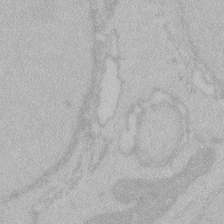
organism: Zebrafish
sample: Macrophage infected with Toxoplasma gondii